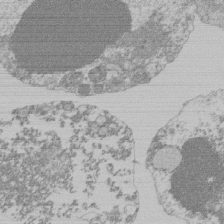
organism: Mouse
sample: Activated Pmel transgenic CD8+ T Cells